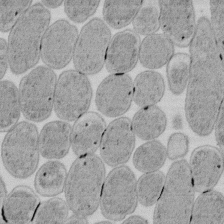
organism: E. coli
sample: Bacterial nucleoid